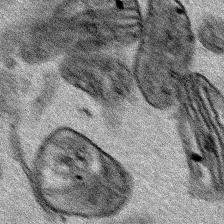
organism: Human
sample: Mitochondria in HCT116 cells